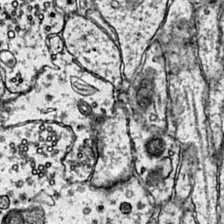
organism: Mouse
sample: Primary visual cortex